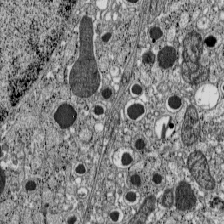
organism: C57BL Mouse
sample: Pancreatic islet